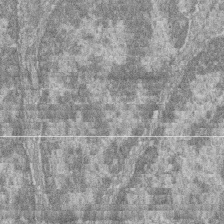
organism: Zebrafish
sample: Cilia; retinal pigment epithelium